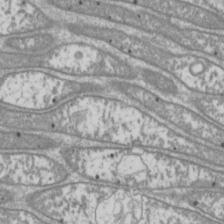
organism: Drosophila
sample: Cell division; meiosis; drosophila spermatocytes